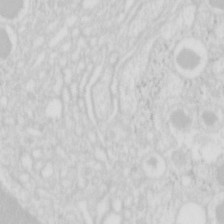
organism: Mouse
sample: Pancreas